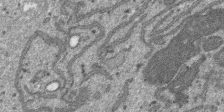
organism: Human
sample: Lung epithelial cells infected with SARS-CoV-2